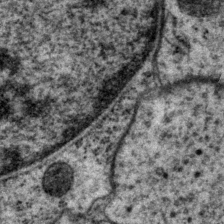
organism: P. pacificus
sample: Pharynx